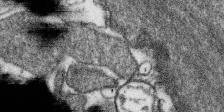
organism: Human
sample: Lung epithelial cells infected with SARS-CoV-2